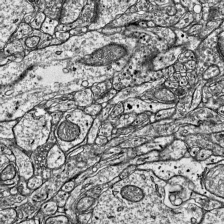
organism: Mouse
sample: Visual Cortex